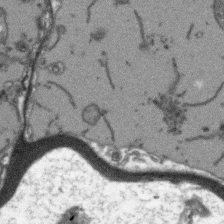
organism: Arabidopsis thaliana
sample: Root tip